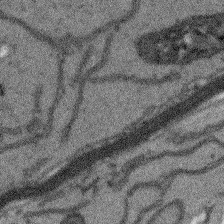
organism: Arabidopsis thaliana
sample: Root tip